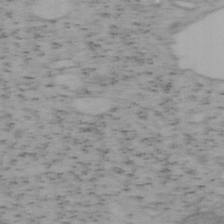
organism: Mouse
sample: OT-I killer T cells with ID8 ovarian cancer cells